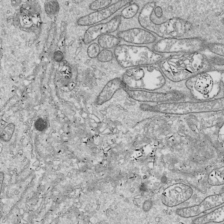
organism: Drosophila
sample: Cell division; meiosis; drosophila spermatocytes